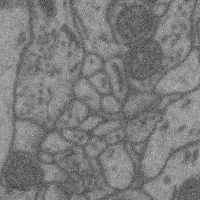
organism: Mouse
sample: Cerebral cortex